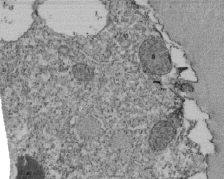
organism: Tetrahymena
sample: Cilia in tetrahymena